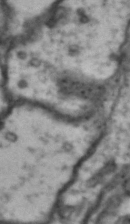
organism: Drosophila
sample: Brain